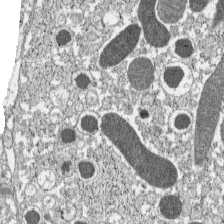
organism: C57BL Mouse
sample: Pancreatic islet